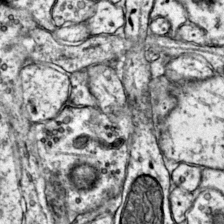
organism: Mouse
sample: Primary visual cortex